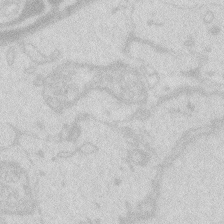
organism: Zebrafish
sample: Macrophage